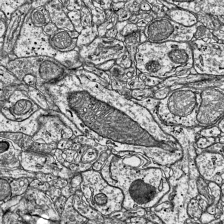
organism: Mouse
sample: Visual Cortex